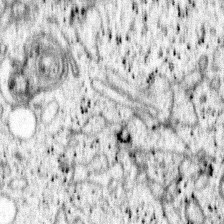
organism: Human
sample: HeLa cells